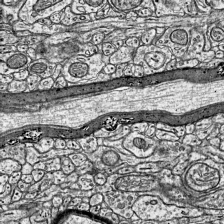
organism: Mouse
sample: Visual Cortex